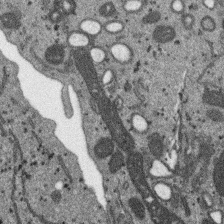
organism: Human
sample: Lung epithelial cells infected with SARS-CoV-2